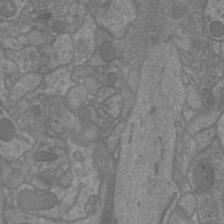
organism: Mouse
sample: Cortical neurons